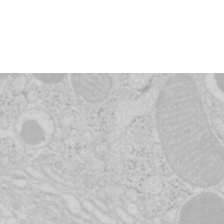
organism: Mouse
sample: Pancreas